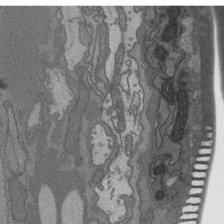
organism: C. elegans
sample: AFD neurons C. elegans